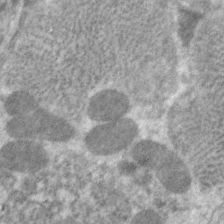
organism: C. elegans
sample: Pharynx